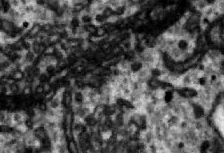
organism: Human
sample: HeLa cells